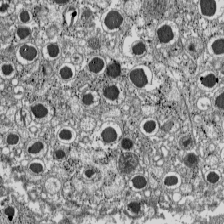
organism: C57BL Mouse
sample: Pancreatic islet